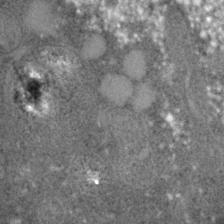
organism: C. elegans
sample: C. elegans embryo